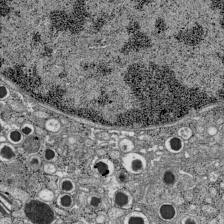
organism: C57BL Mouse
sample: Pancreatic islet